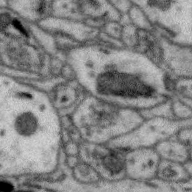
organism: Zebra finch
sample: Brain